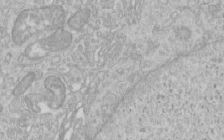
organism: Human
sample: Centriole in RPE cells